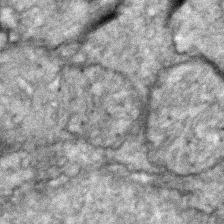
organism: Zebrafish